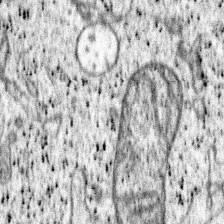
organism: Human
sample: HeLa cells